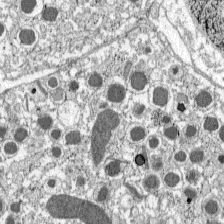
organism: C57BL Mouse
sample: Pancreatic islet